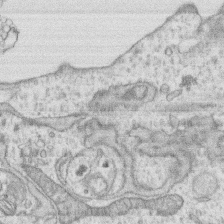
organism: Human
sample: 1205lu cells